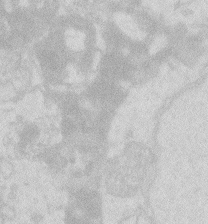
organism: Zebrafish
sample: Macrophage